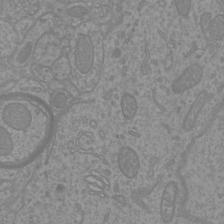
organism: Mouse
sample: Cortical neurons